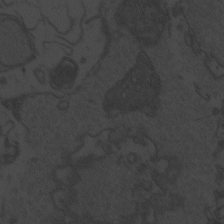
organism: Zebrafish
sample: Macrophage infected with Toxoplasma gondii